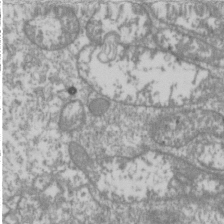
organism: Drosophila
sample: Cell division; meiosis; drosophila spermatocytes